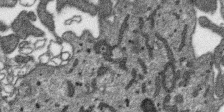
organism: Human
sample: Lung epithelial cells infected with SARS-CoV-2